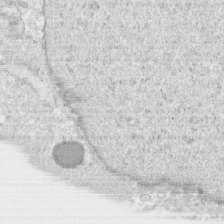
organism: Human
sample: CRL-1474